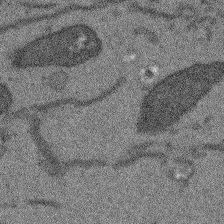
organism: Arabidopsis thaliana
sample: Root tip